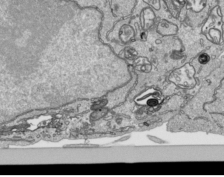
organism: Human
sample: Mitochondria in HCT116 cells